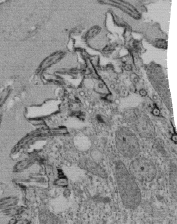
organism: Tetrahymena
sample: Cilia in tetrahymena